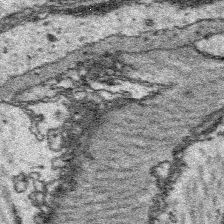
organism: Platynereis dumerilii